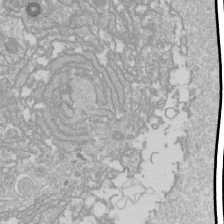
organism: Drosophila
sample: Cell division; meiosis; drosophila spermatocytes